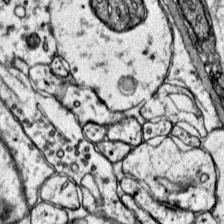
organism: Mouse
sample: Primary visual cortex